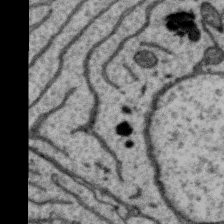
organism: Zebra finch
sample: Brain